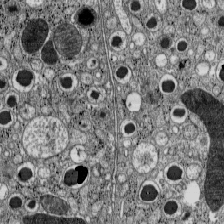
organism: C57BL Mouse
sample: Pancreatic islet